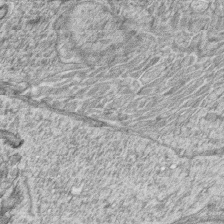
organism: Zebrafish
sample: synaptic ribbons in rod cells and cone cells